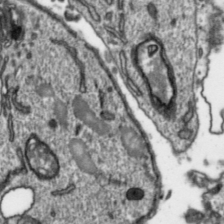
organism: Toxoplasma gondii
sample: Parasites in a vacuole inside a host cell